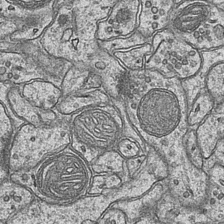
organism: Mouse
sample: CA1 Hippocampus